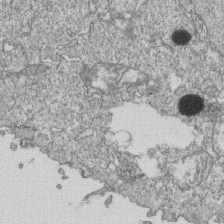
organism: Human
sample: HeLa cell HIV synapse